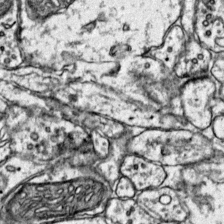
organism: Mouse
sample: Primary visual cortex